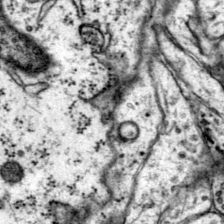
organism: Mouse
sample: Primary visual cortex